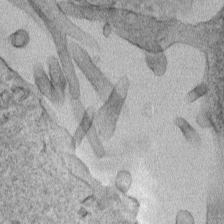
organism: Human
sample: Mitochondria in HCT116 cells